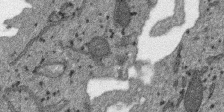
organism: Human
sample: Lung epithelial cells infected with SARS-CoV-2